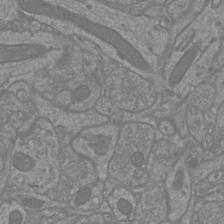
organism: Mouse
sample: Cortical neurons